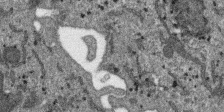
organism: Human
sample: Lung epithelial cells infected with SARS-CoV-2